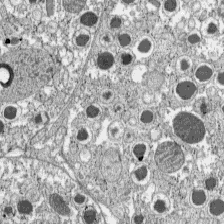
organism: C57BL Mouse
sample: Pancreatic islet